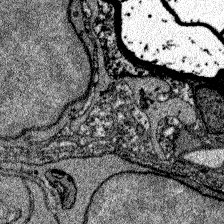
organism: Zebrafish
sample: Larval olfactory bulb